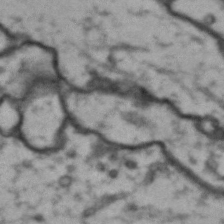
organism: Drosophila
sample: Brain